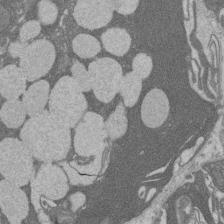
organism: Rat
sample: Salivary granule